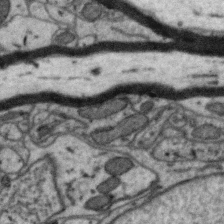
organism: Zebra finch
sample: Brain